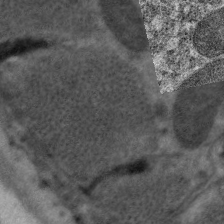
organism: C. elegans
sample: Pharynx